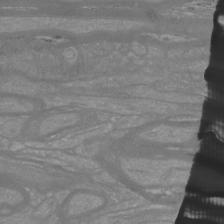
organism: Mouse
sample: Cortical neurons